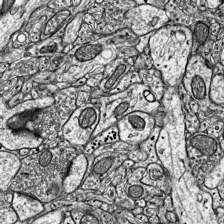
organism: Mouse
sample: Visual Cortex